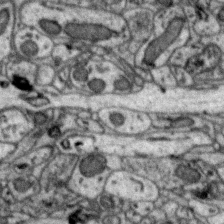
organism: Zebra finch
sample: Brain